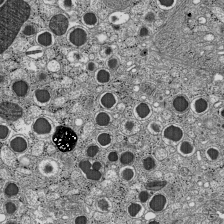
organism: C57BL Mouse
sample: Pancreatic islet